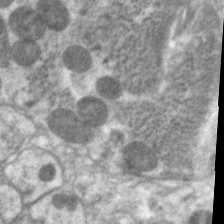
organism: C. elegans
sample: Pharynx